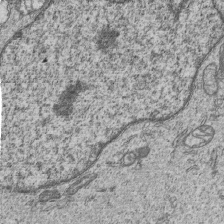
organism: Human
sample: MDA-MB-231 cells